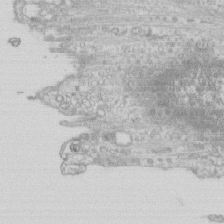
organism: Human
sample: CRL-1474